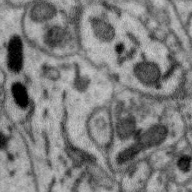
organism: Zebra finch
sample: Brain